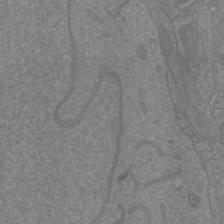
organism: Mouse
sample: Cortical neurons